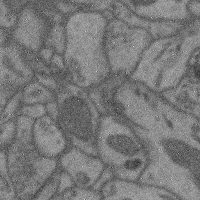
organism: Mouse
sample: Cerebral cortex